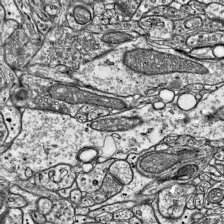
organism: Mouse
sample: Visual Cortex